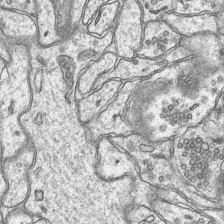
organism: Mouse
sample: CA1 Hippocampus